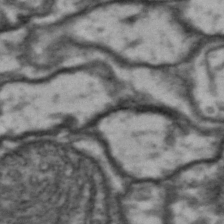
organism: Drosophila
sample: Brain